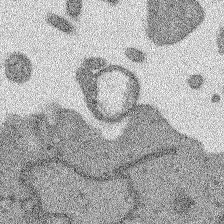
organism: Human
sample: HeLa cells